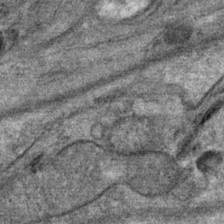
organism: Mouse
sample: Mouse Salivary gland